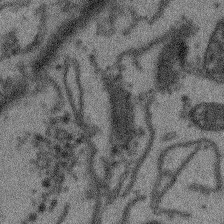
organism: Arabidopsis thaliana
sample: Root tip